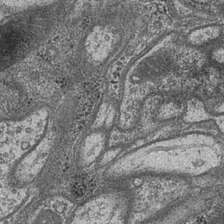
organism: Drosophila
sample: Optic medulla